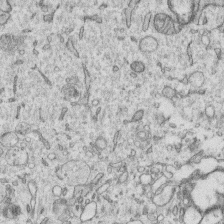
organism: Human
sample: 1205lu cells